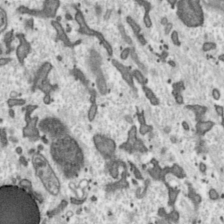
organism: Toxoplasma gondii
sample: Parasites in a vacuole inside a host cell